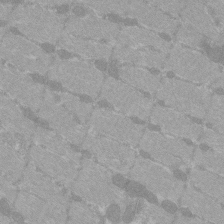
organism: C57BL Mouse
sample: Tibialis anterior muscle cell